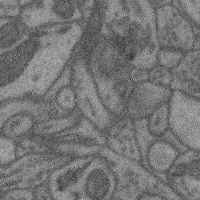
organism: Mouse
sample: Cerebral cortex